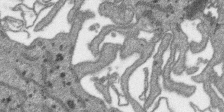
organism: Human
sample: Lung epithelial cells infected with SARS-CoV-2